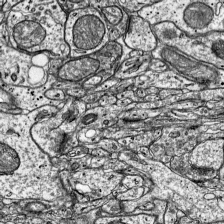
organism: Mouse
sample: Visual Cortex